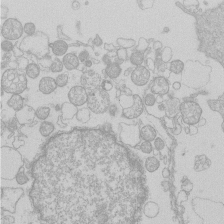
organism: Human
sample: Macrophage cells